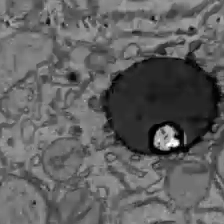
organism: C57BL Mouse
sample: Liver